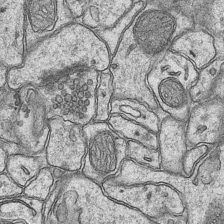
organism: Mouse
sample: CA1 Hippocampus